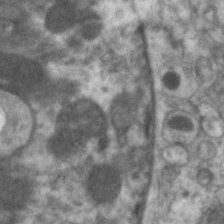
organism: C. elegans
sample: Pharynx